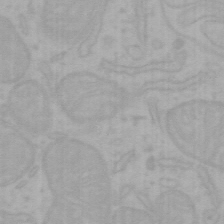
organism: Mouse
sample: Choroid plexus